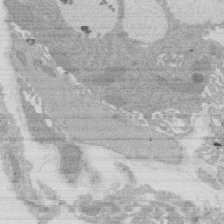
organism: Rat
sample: Salivary granule